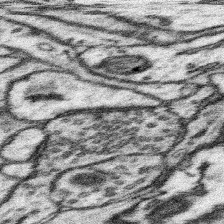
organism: Mouse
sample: Somatosensory cortex neuropil